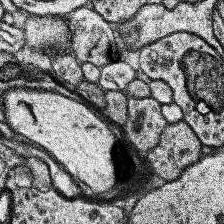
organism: Human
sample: Temporal Lobe